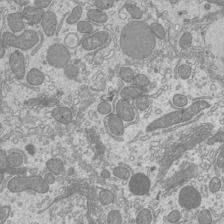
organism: Mouse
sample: Cilia; mouse epididymis